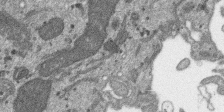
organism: Human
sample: Lung epithelial cells infected with SARS-CoV-2